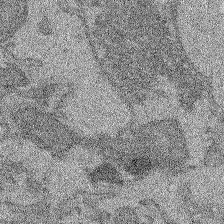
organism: Human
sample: HeLa cells